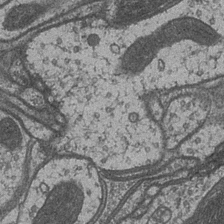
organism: Drosophila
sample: Optic medulla